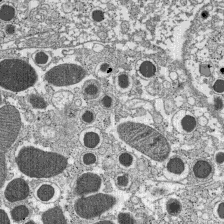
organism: C57BL Mouse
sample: Pancreatic islet